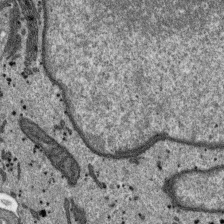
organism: Human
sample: Lung epithelial cells, uninfected (mock) control